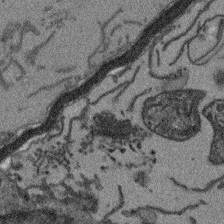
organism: Arabidopsis thaliana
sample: Root tip